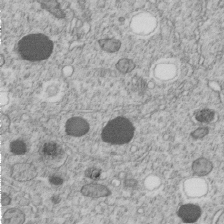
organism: C. elegans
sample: C. elegans embryo early stage